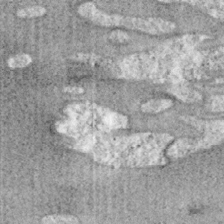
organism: Mouse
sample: OT-I killer T cells with ID8 ovarian cancer cells